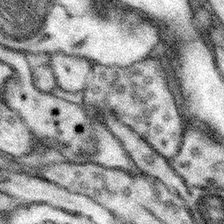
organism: Mouse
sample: Somatosensory cortex neuropil